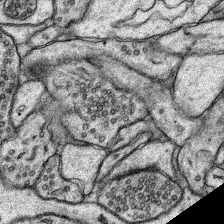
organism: Rat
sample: Hippocampus